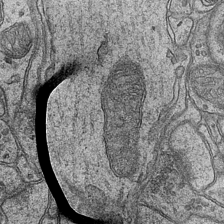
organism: Mouse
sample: CA1 Hippocampus